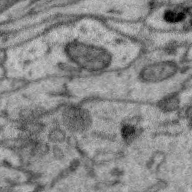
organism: Zebra finch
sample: Brain